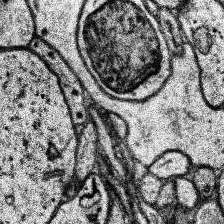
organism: Human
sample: Temporal Lobe